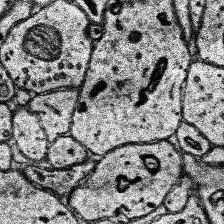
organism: Human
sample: Temporal Lobe